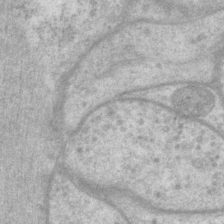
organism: P. pacificus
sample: Pharynx